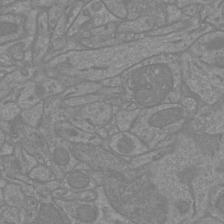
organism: Mouse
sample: Cortical neurons